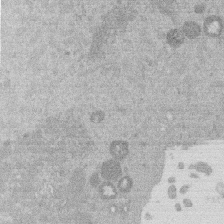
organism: Mouse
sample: Dividing mouse embryo 1 cell stage